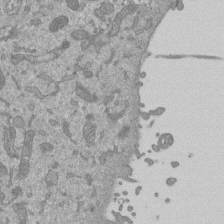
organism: Mouse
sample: ED-1 cell nuclei; centrioles